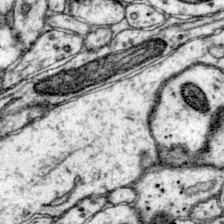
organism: Mouse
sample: Primary visual cortex